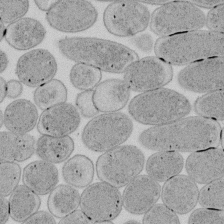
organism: E. coli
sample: Bacterial nucleoid